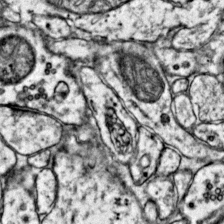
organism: Mouse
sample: Primary visual cortex